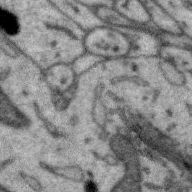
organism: Zebra finch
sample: Brain